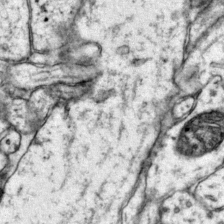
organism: Mouse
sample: Primary visual cortex